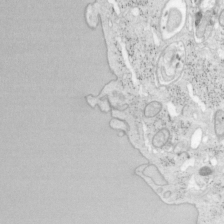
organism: Mouse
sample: OT-I killer T cells with ID8 ovarian cancer cells